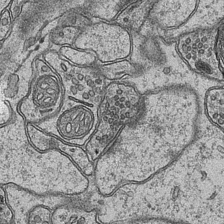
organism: Mouse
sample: CA1 Hippocampus